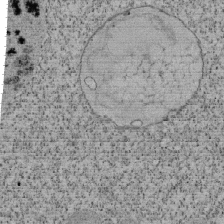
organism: Tetrahymena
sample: Cilia in tetrahymena